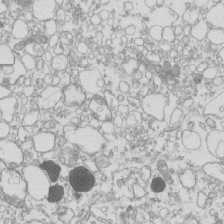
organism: Mouse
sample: Macrophages